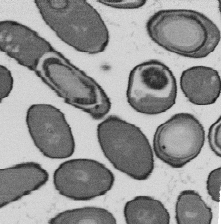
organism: B. subtilis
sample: Bacterial spore